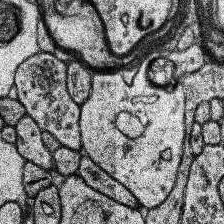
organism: Human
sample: Temporal Lobe